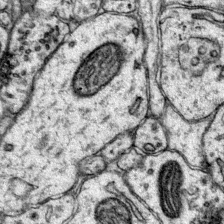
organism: Mouse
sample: Primary visual cortex